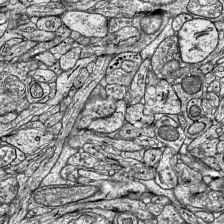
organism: Mouse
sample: Visual Cortex